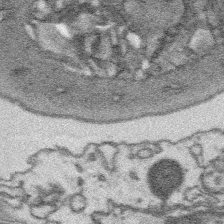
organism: Platynereis dumerilii